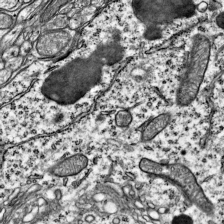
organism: Mouse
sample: Visual Cortex